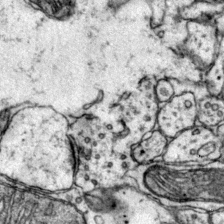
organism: Mouse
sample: Primary visual cortex